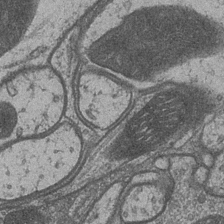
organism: Drosophila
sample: Optic medulla